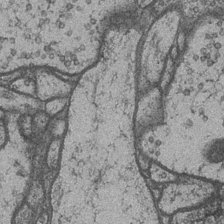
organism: Drosophila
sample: Optic medulla